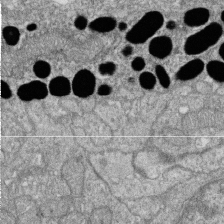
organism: Zebrafish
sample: Cilia; retinal pigment epithelium